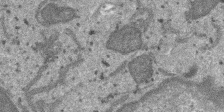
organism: Human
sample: Lung epithelial cells infected with SARS-CoV-2